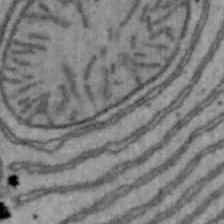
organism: Mouse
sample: Liver